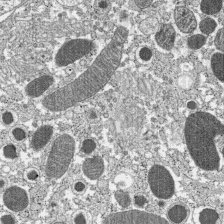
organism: C57BL Mouse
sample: Pancreatic islet